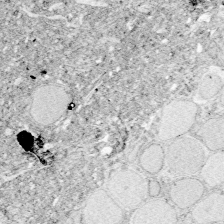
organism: Zebrafish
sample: Whole-Brain